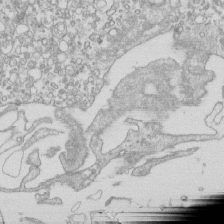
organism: Mouse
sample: Macrophages